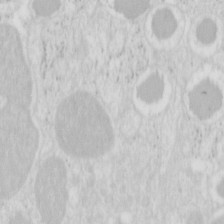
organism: Mouse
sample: Pancreas